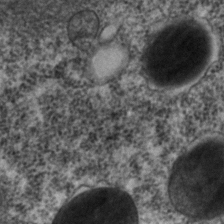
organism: C. elegans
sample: C. elegans embryo